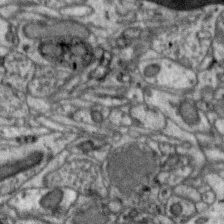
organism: Zebra finch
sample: Brain